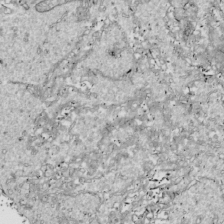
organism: Drosophila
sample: Cell division; meiosis; drosophila spermatocytes